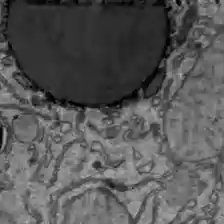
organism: C57BL Mouse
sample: Liver